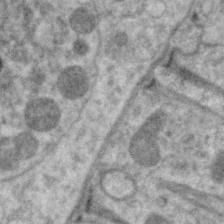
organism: C. elegans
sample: Pharynx